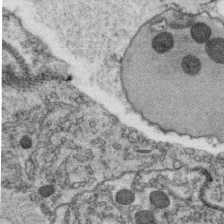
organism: C. elegans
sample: C. elegans oocyte; sperm cells